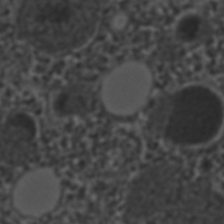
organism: C. elegans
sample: C. elegans embryo